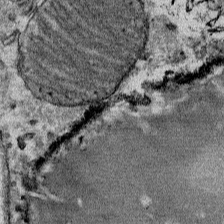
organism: Mouse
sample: Mouse Salivary gland